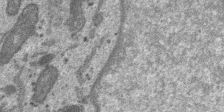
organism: Human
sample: Lung epithelial cells infected with SARS-CoV-2